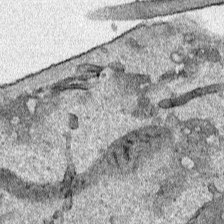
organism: Human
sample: Mitochondria in HCT116 cells